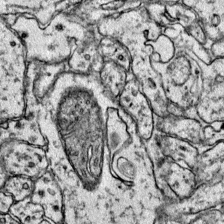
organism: Mouse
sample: Primary visual cortex